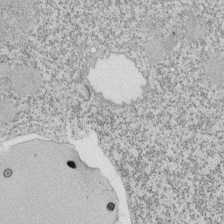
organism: Tetrahymena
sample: Cilia in tetrahymena